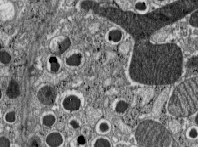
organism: C57BL Mouse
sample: Pancreatic islet